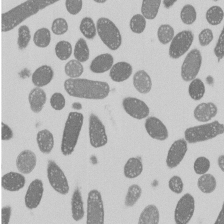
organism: E. coli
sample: Bacterial nucleoid